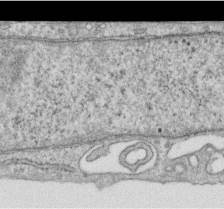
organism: Human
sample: Centriole in RPE cells